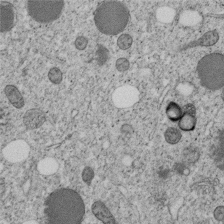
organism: C. elegans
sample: C. elegans embryo early stage